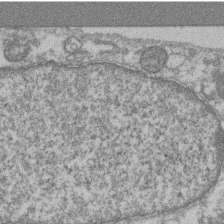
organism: Mouse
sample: T cell stromal cell synapse